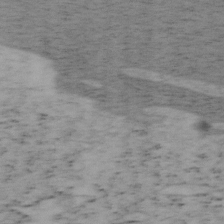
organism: Mouse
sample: OT-I killer T cells with ID8 ovarian cancer cells